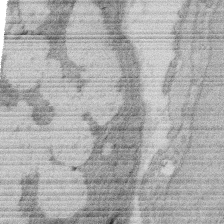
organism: Rat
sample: Salivary granule